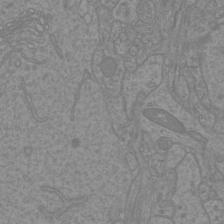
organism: Mouse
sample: Cortical neurons